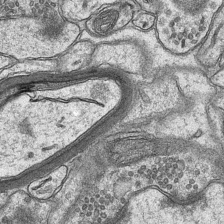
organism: Mouse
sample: CA1 Hippocampus